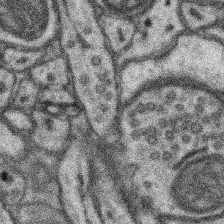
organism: Mouse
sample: Somatosensory cortex neuropil